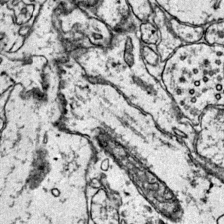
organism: Mouse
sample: Primary visual cortex